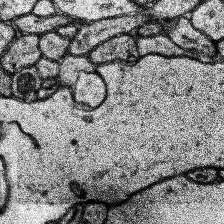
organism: Human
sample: Temporal Lobe